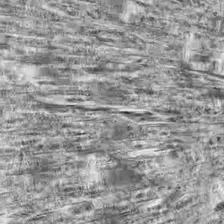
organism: Drosophila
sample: Optic lobe